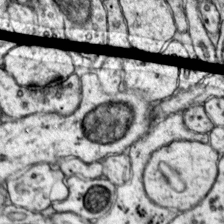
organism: Mouse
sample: Primary visual cortex